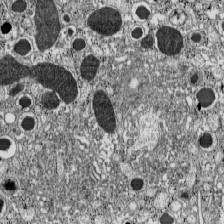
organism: C57BL Mouse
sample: Pancreatic islet